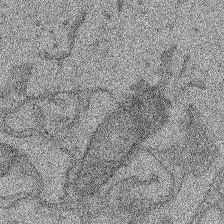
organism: Human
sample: HeLa cells